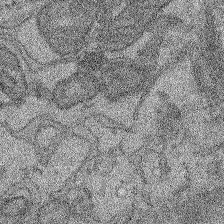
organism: Human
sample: HeLa cells